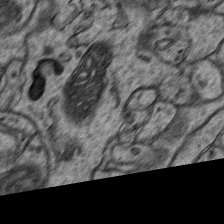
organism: Mouse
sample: CA1 Hippocampus